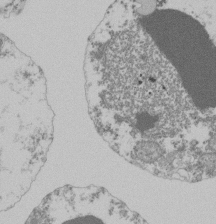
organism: Mouse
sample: Activated Pmel transgenic CD8+ T Cells